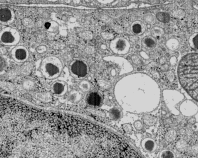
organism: C57BL Mouse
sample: Pancreatic islet